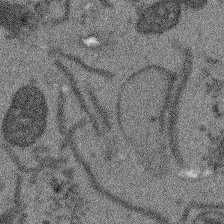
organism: Arabidopsis thaliana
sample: Root tip